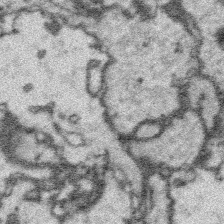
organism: Platynereis dumerilii